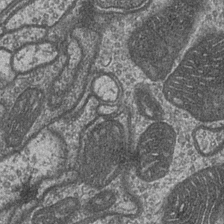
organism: Drosophila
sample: Optic medulla